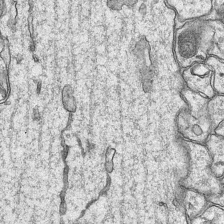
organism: Mouse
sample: CA1 Hippocampus